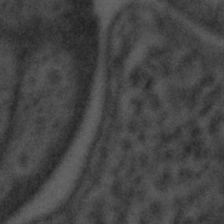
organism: Tuwongella immobilis